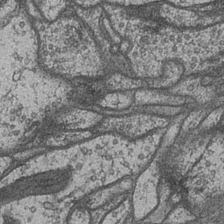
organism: Drosophila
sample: Optic medulla